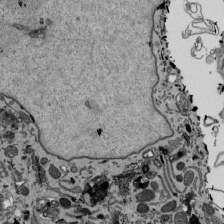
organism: Mouse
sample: ED-1 cell nuclei; centrioles